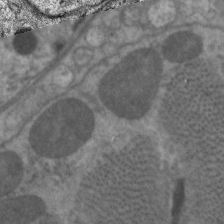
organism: C. elegans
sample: Pharynx